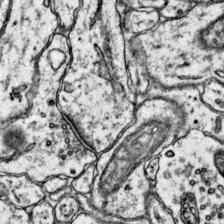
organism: Mouse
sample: Primary visual cortex